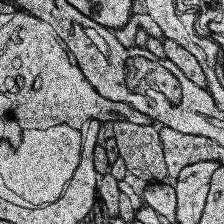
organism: Human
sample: Temporal Lobe